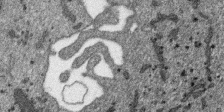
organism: Human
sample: Lung epithelial cells infected with SARS-CoV-2